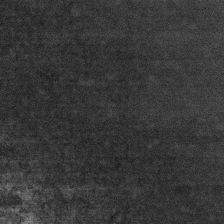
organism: Mouse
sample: Centriole in ependymal cells